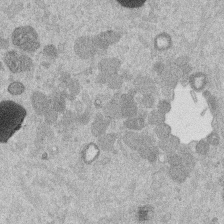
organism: Mouse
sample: Dividing mouse embryo 1 cell stage